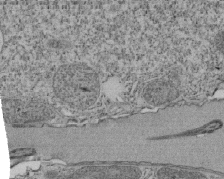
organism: Tetrahymena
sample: Cilia in tetrahymena